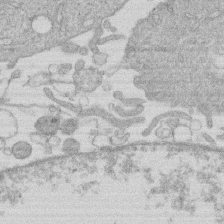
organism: Human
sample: Macrophage cells